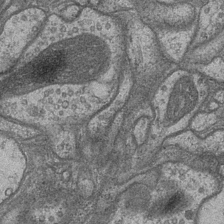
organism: Drosophila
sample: Optic medulla